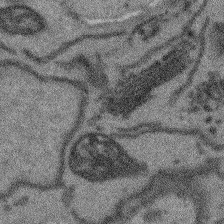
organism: Arabidopsis thaliana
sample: Root tip